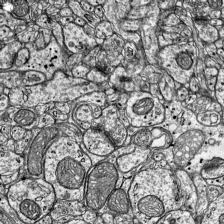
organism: Mouse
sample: Visual Cortex